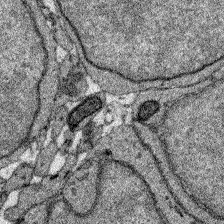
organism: Zebrafish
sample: Larval olfactory bulb